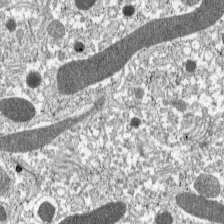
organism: C57BL Mouse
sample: Pancreatic islet